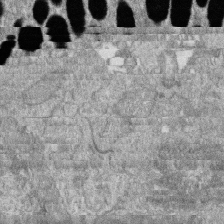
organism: Zebrafish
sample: Cilia; retinal pigment epithelium